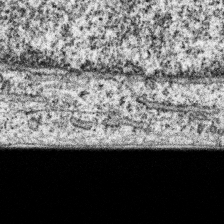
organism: Human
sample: HeLa cells